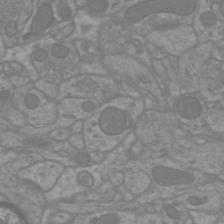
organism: Mouse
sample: Cortical neurons